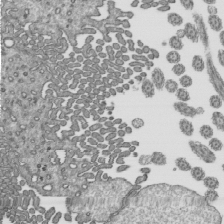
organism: Mouse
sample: Mouse epididymis efferent ductule cilia